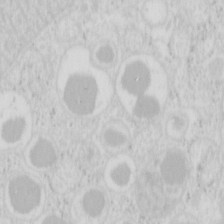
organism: Mouse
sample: Pancreas